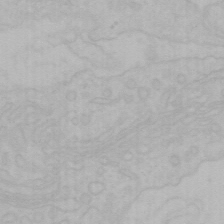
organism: Mouse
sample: Choroid plexus